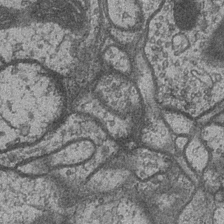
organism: Drosophila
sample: Optic medulla